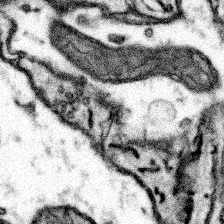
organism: Mouse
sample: Somatosensory cortex neuropil